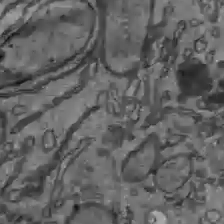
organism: C57BL Mouse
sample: Liver